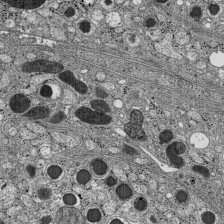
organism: C57BL Mouse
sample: Pancreatic islet